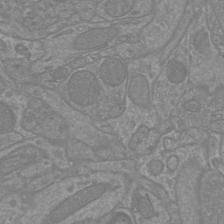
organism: Mouse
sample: Cortical neurons